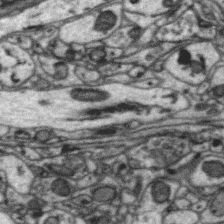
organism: Zebra finch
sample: Brain